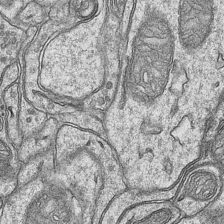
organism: Mouse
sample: CA1 Hippocampus